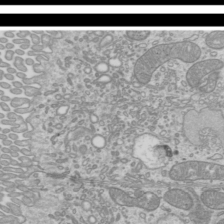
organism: Mouse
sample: Cilia; mouse epididymis